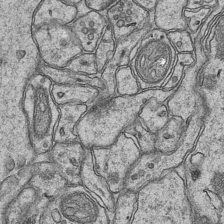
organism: Mouse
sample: CA1 Hippocampus